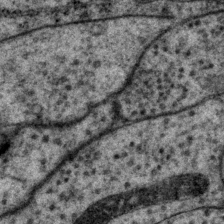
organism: P. pacificus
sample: Pharynx